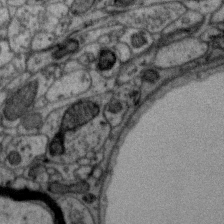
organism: Zebra finch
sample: Brain